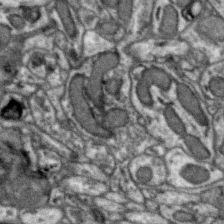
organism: Zebra finch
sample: Brain